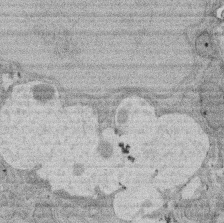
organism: Rat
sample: Salivary granule